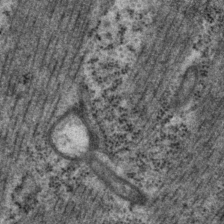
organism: P. pacificus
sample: Pharynx